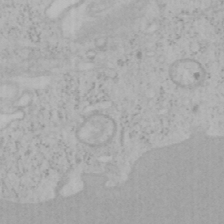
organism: Mouse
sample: OT-I killer T cells with ID8 ovarian cancer cells